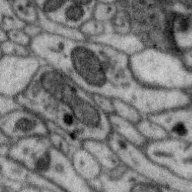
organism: Zebra finch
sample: Brain